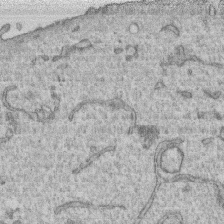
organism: Human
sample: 1205lu cells